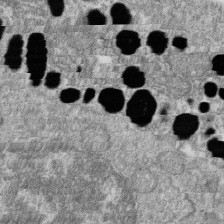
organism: Zebrafish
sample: Cilia; retinal pigment epithelium